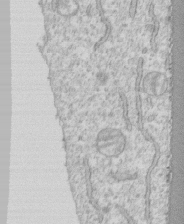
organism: Human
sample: CRL-1474